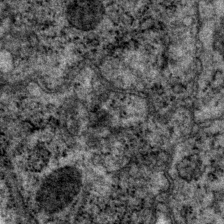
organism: P. pacificus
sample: Pharynx